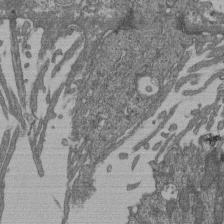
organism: Human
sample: Retinal organoid Rod and Cone cells